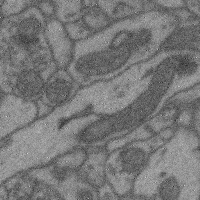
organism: Mouse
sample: Cerebral cortex